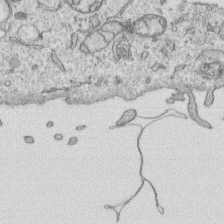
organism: Human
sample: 1205lu cells